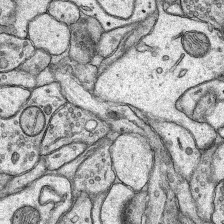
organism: Rat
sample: Hippocampus